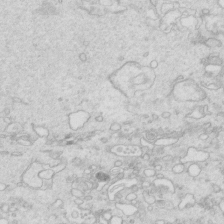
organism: Mouse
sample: Multiciliated cells